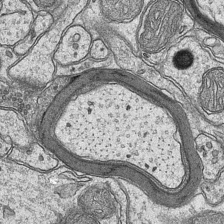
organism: Mouse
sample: CA1 Hippocampus